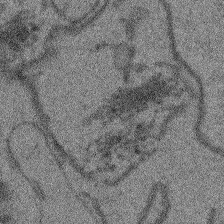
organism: Arabidopsis thaliana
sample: Root tip